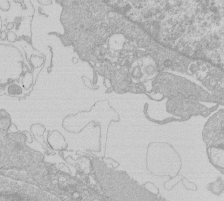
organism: Human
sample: Macrophage cells